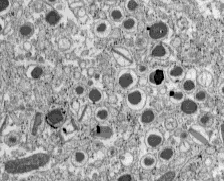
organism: C57BL Mouse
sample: Pancreatic islet